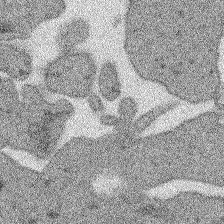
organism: Human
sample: HeLa cells